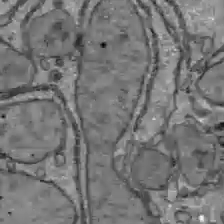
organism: C57BL Mouse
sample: Liver